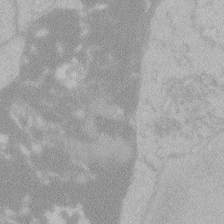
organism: Zebrafish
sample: Macrophage infected with Toxoplasma gondii